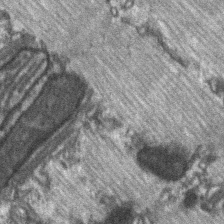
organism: C57BL Mouse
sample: Soleus